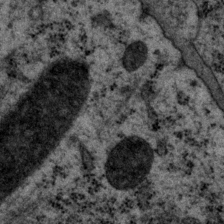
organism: P. pacificus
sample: Pharynx